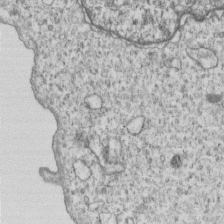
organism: Human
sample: MDA-MB-231 cells